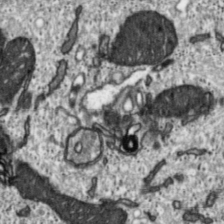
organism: Toxoplasma gondii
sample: Parasites in a vacuole inside a host cell